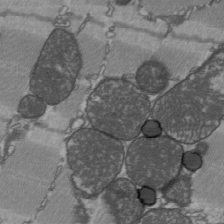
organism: C57BL Mouse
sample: Heart